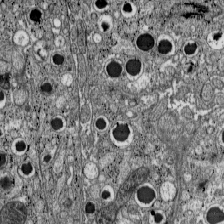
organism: C57BL Mouse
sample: Pancreatic islet